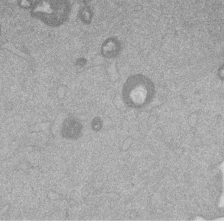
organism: Mouse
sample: Dividing mouse embryo 1 cell stage